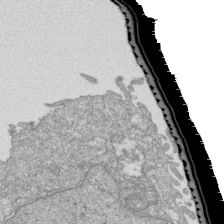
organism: Human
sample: HeLa cell HIV synapse